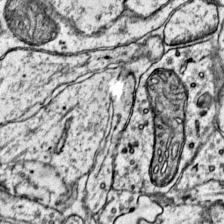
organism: Mouse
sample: Primary visual cortex